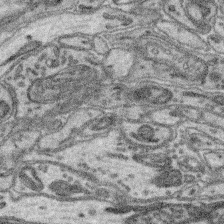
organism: Mouse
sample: Retina